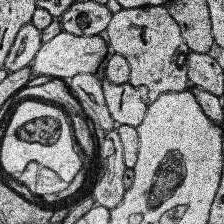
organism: Human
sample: Temporal Lobe